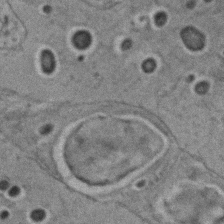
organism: C. elegans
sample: C. elegans embryo